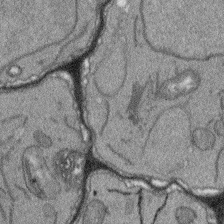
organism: Arabidopsis thaliana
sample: Root tip